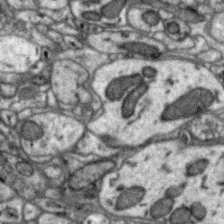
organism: Zebra finch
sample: Brain